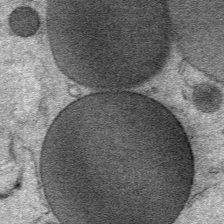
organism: Mouse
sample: Mouse Salivary gland